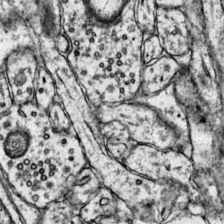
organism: Mouse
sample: Primary visual cortex